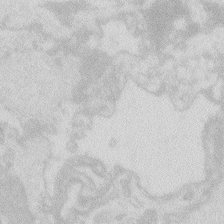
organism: Zebrafish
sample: Macrophage